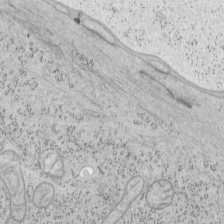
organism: Mouse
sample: OT-I killer T cells with ID8 ovarian cancer cells